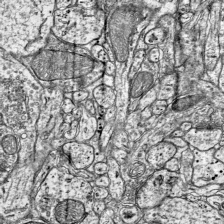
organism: Mouse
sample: Visual Cortex